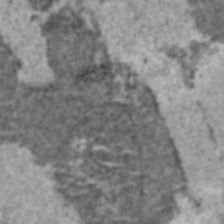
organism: C57BL Mouse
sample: Heart